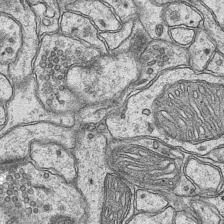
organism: Mouse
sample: CA1 Hippocampus